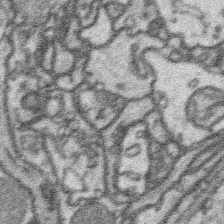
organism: Platynereis dumerilii